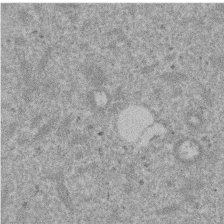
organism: Mouse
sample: Dividing mouse embryo 1 cell stage